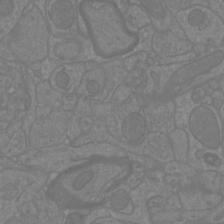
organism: Mouse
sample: Cortical neurons